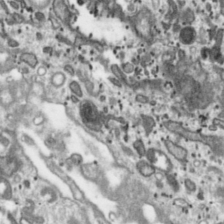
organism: Toxoplasma gondii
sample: Parasites in a vacuole inside a host cell